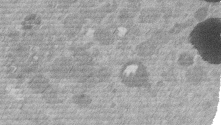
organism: Mouse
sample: Dividing mouse embryo 1 cell stage